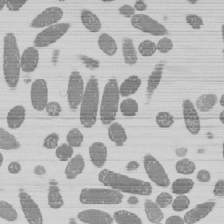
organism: E. coli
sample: Bacterial nucleoid